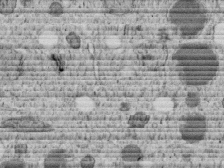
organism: C. elegans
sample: C. elegans embryo early stage